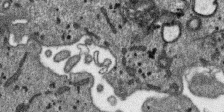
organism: Human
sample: Lung epithelial cells infected with SARS-CoV-2